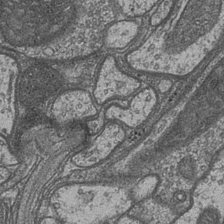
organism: Drosophila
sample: Optic medulla